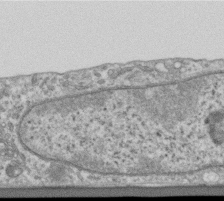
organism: Human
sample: Centriole in RPE cells